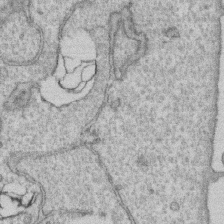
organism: Human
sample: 1205lu cells